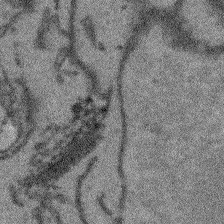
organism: Arabidopsis thaliana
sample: Root tip